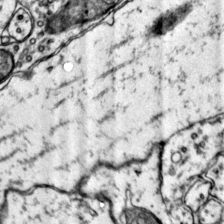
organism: Mouse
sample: Primary visual cortex